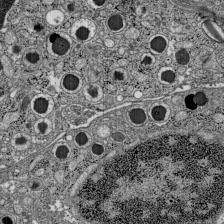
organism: C57BL Mouse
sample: Pancreatic islet